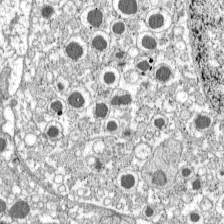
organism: C57BL Mouse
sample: Pancreatic islet